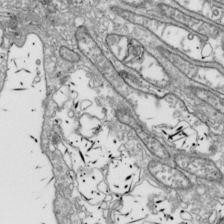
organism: Drosophila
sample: Cell division; meiosis; drosophila spermatocytes